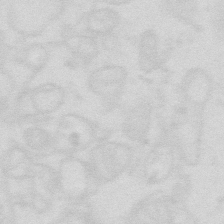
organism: Human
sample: HeLa cells